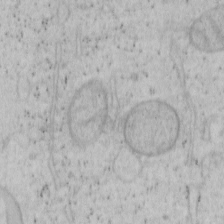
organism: Human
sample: HeLa cells